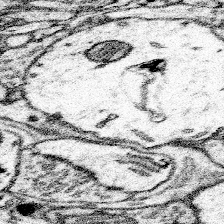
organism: Mouse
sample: Somatosensory cortex neuropil